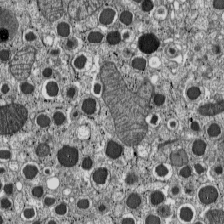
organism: C57BL Mouse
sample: Pancreatic islet